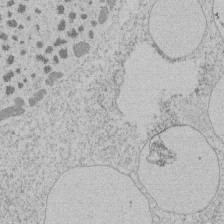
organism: Tetrahymena